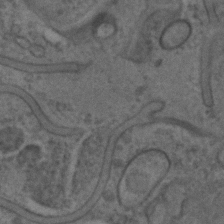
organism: C. elegans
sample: C. elegans embryo